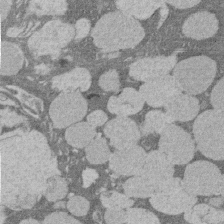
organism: Rat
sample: Salivary granule